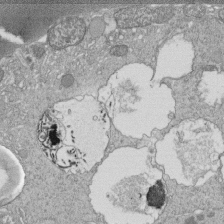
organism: Tetrahymena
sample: Cilia in tetrahymena